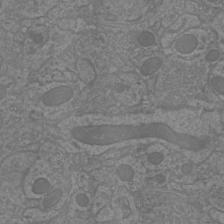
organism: Mouse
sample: Cortical neurons